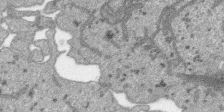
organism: Human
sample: Lung epithelial cells infected with SARS-CoV-2